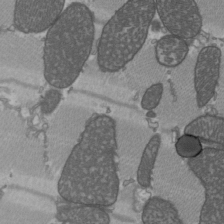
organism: C57BL Mouse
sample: Heart